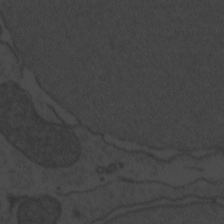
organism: Zebrafish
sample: Macrophage infected with Toxoplasma gondii